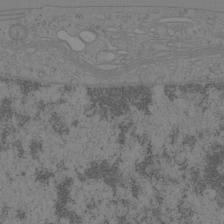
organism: Human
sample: HeLa cells